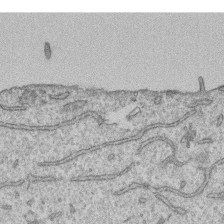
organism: Human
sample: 1205lu cells